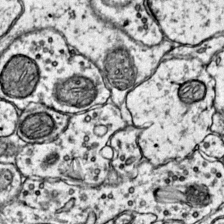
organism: Mouse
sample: Primary visual cortex